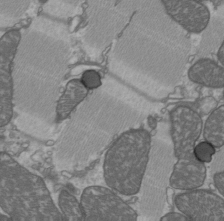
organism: C57BL Mouse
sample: Heart